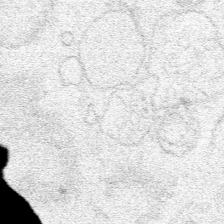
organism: Human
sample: Mitochondria in HCT116 cells